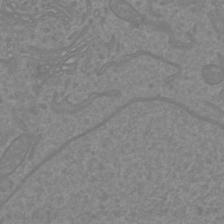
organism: Mouse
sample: Cortical neurons